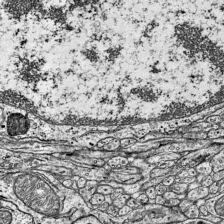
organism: Mouse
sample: Visual Cortex